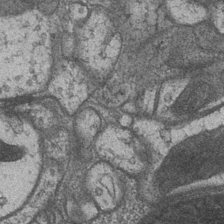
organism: Drosophila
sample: Optic medulla